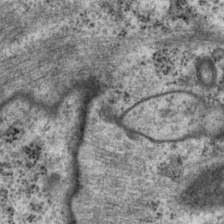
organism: P. pacificus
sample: Pharynx